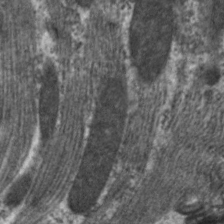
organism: C. elegans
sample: Pharynx